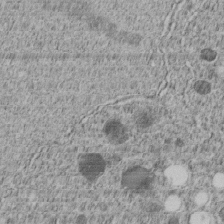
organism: C. elegans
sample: C. elegans embryo early stage